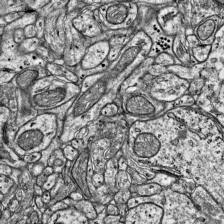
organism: Mouse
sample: Visual Cortex